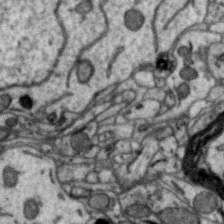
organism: Zebra finch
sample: Brain